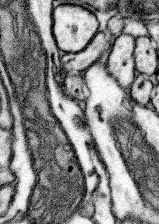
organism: Mouse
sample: Somatosensory cortex neuropil